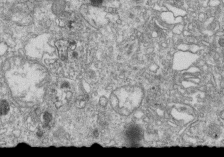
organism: Human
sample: HeLa cell HIV synapse